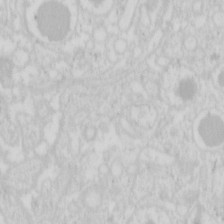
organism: Mouse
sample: Pancreas